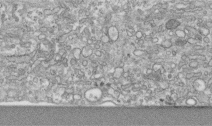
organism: Human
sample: Centriole in RPE cells